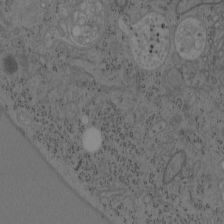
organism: Mouse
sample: OT-I killer T cells with ID8 ovarian cancer cells